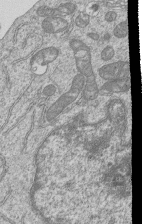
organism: Human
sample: MDA-MB-231 cells